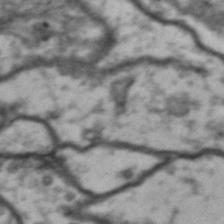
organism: Drosophila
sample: Brain